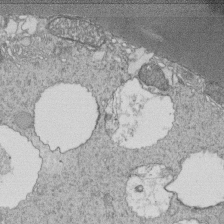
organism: Tetrahymena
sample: Cilia in tetrahymena